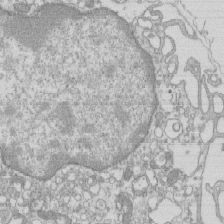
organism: Mouse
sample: Macrophages